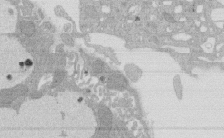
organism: Rat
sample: Salivary granule